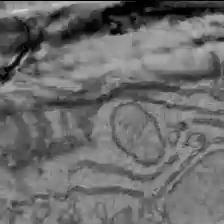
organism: C57BL Mouse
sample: Liver